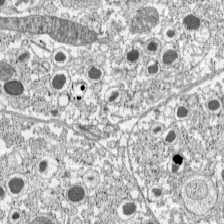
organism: C57BL Mouse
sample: Pancreatic islet